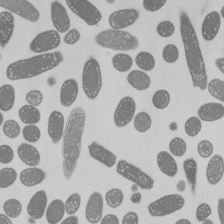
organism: E. coli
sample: Bacterial nucleoid